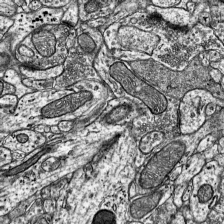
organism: Mouse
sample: Visual Cortex